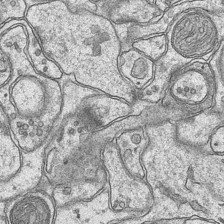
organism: Mouse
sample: CA1 Hippocampus